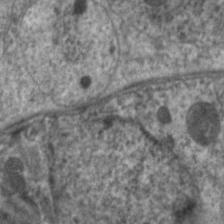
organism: C. elegans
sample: Pharynx